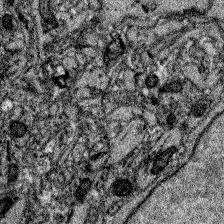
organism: Zebrafish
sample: Larval olfactory bulb